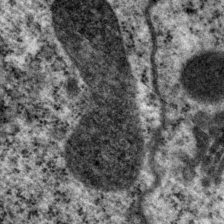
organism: P. pacificus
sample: Pharynx